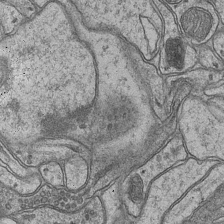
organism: Mouse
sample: CA1 Hippocampus